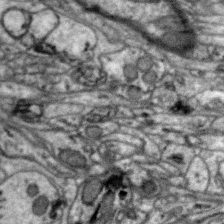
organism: Zebra finch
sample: Brain